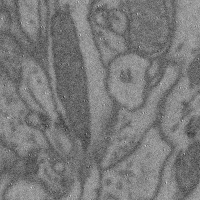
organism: Mouse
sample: Cerebral cortex